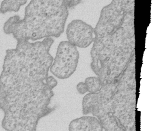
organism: Human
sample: MDA-MB-231 cells